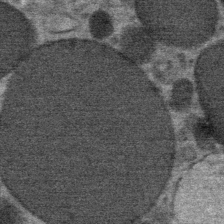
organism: Mouse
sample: Mouse Salivary gland